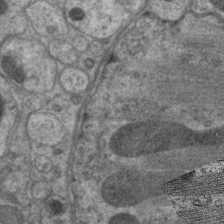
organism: C. elegans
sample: Pharynx